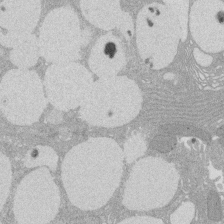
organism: Rat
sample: Salivary granule